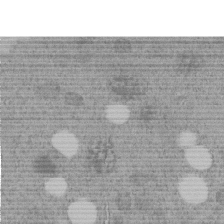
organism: C. elegans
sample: C. elegans embryo early stage